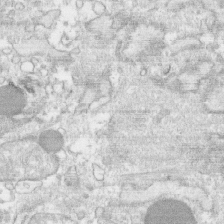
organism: Human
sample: CRL-1474